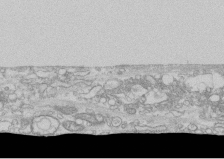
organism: Human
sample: CRL-1474